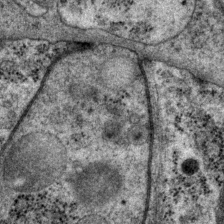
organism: P. pacificus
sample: Pharynx